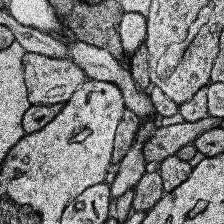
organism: Human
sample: Temporal Lobe